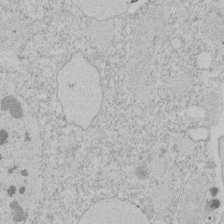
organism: Tetrahymena